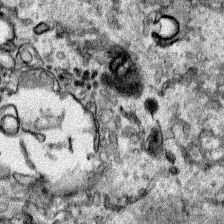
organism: Human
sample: Mitochondria in HCT116 cells